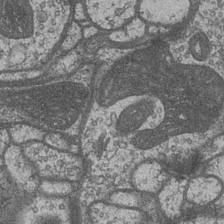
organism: Drosophila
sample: Optic medulla